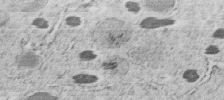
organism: C. elegans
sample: C. elegans embryo early stage